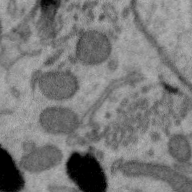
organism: Zebra finch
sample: Brain